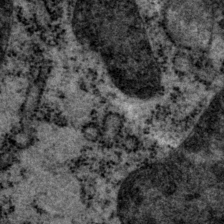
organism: P. pacificus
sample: Pharynx